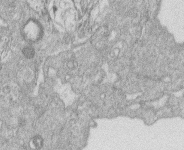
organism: Human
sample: Macrophage cells